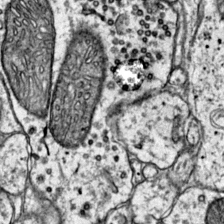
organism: Mouse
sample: Primary visual cortex